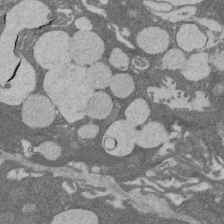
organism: Rat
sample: Salivary granule